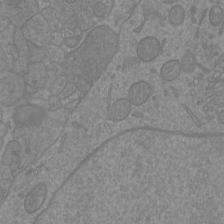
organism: Mouse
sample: Cortical neurons